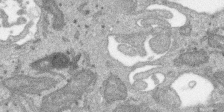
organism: Human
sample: Lung epithelial cells infected with SARS-CoV-2